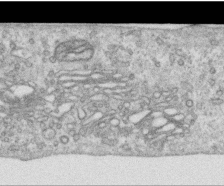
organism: Human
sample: Centriole in RPE cells